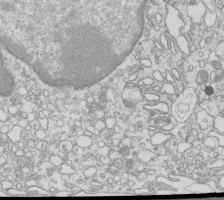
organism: Mouse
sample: Macrophages